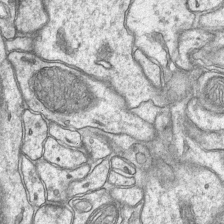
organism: Mouse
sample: CA1 Hippocampus